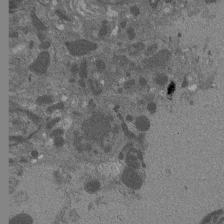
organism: Drosophila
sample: Antenna